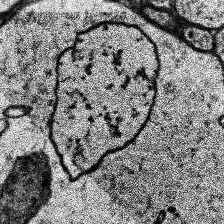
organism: Human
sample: Temporal Lobe